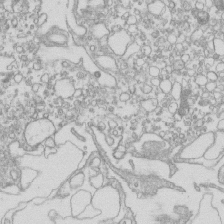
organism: Mouse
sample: Macrophages